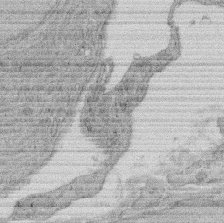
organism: Rat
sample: Salivary granule